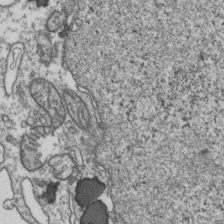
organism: Human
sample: Activated Jurkat CD4+ T cells